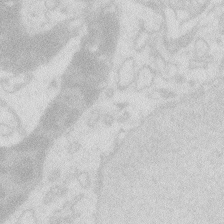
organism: Zebrafish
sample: Macrophage